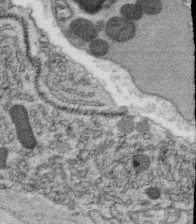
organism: C. elegans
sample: C. elegans oocyte; sperm cells